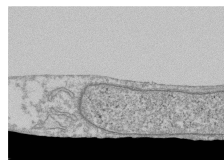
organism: Human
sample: Fibroblast cells